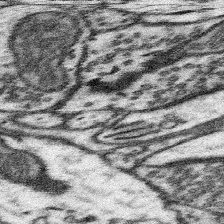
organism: Mouse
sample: Somatosensory cortex neuropil